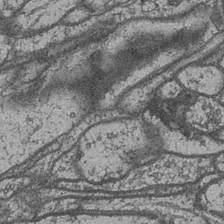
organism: Drosophila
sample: Optic medulla